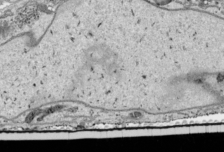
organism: Human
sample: Mitochondria in HCT116 cells